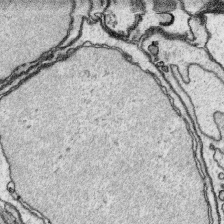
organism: Platynereis dumerilii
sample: Parapodia